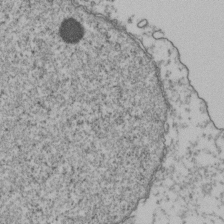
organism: Human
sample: Activated Jurkat CD4+ T cells